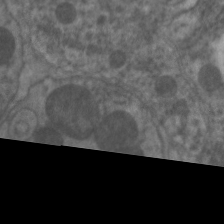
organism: C. elegans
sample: Pharynx